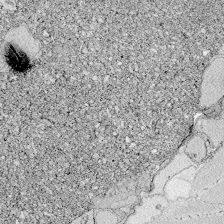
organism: Zebrafish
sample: Whole-Brain